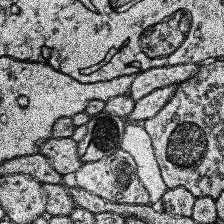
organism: Human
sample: Temporal Lobe